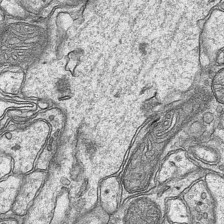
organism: Mouse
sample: CA1 Hippocampus